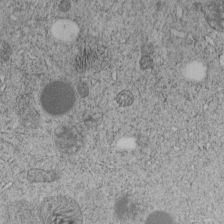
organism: C. elegans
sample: C. elegans embryo early stage